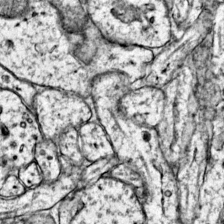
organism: Mouse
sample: Primary visual cortex